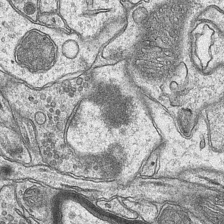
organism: Mouse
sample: CA1 Hippocampus